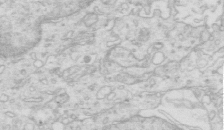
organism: Mouse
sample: Multiciliated cells